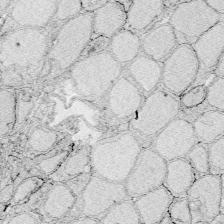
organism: Zebrafish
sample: Whole-Brain